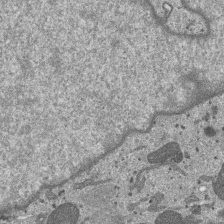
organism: Human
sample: Lung epithelial cells infected with SARS-CoV-2